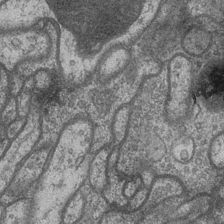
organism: Drosophila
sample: Optic medulla